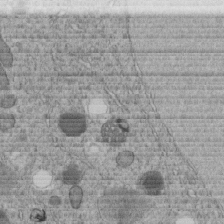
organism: C. elegans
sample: C. elegans embryo early stage